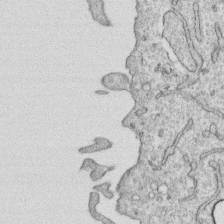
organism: Human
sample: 1205lu cells